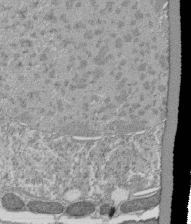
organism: Tetrahymena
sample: Cilia in tetrahymena